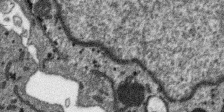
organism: Human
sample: Lung epithelial cells infected with SARS-CoV-2